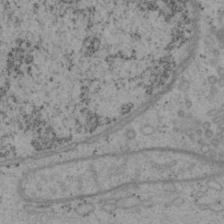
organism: Human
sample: HeLa cells